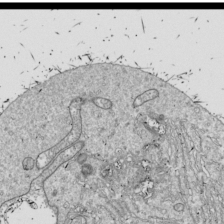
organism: Drosophila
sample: Cell division; meiosis; drosophila spermatocytes